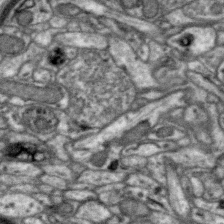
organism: Zebra finch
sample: Brain